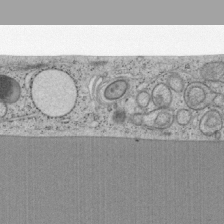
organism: Human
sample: HeLa cells